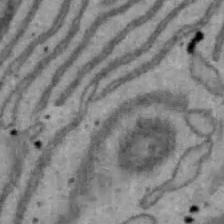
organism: Mouse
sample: Liver